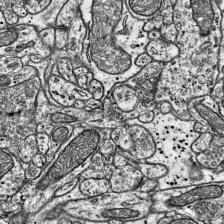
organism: Mouse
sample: Visual Cortex